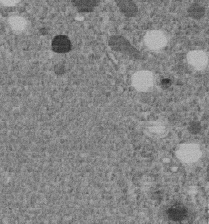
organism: C. elegans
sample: C. elegans embryo early stage